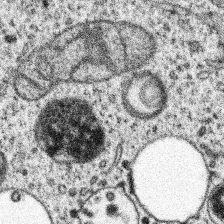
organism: Human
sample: HeLa cells